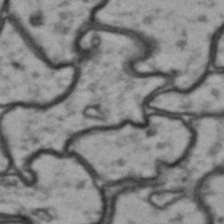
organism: Drosophila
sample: Brain